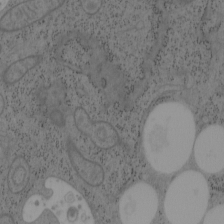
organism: Mouse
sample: OT-I killer T cells with ID8 ovarian cancer cells